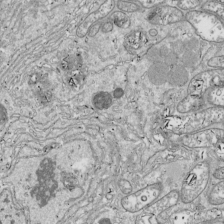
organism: Drosophila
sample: Cell division; meiosis; drosophila spermatocytes